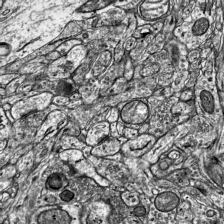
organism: Mouse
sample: Visual Cortex